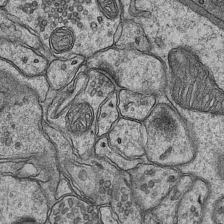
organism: Mouse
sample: CA1 Hippocampus